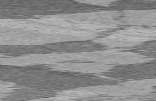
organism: C57BL Mouse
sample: Heart